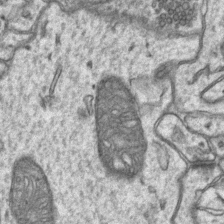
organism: Mouse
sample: CA1 Hippocampus